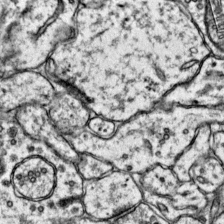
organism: Mouse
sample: Primary visual cortex